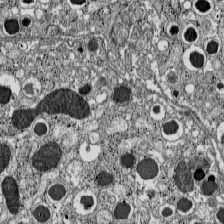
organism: C57BL Mouse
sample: Pancreatic islet